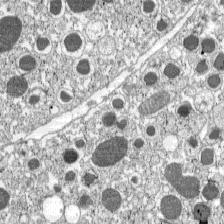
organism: C57BL Mouse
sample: Pancreatic islet